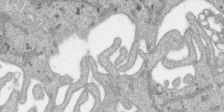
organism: Human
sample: Lung epithelial cells infected with SARS-CoV-2